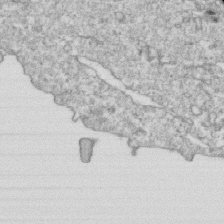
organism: Mouse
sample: Activated OT-1 CD8+ T cells